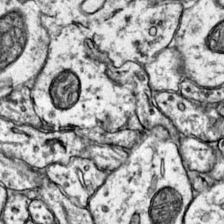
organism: Mouse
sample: Primary visual cortex